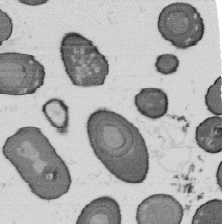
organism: B. subtilis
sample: Bacterial spore